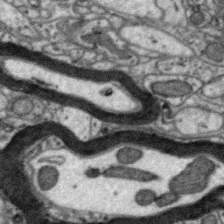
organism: Zebra finch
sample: Brain